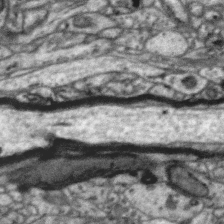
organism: Zebra finch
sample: Brain